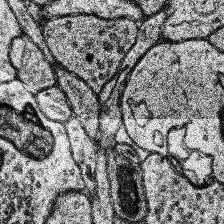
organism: Human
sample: Temporal Lobe